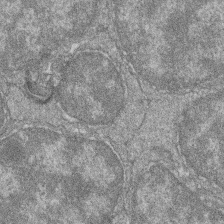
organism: Zebrafish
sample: Cilia; retinal pigment epithelium